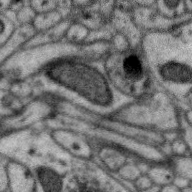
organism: Zebra finch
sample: Brain